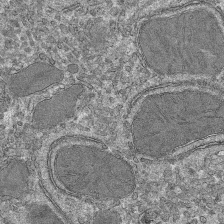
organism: Mouse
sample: Mouse hepatocytes